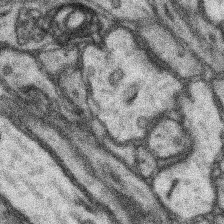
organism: Mouse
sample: Somatosensory cortex neuropil